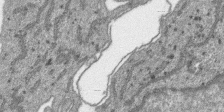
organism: Human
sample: Lung epithelial cells infected with SARS-CoV-2